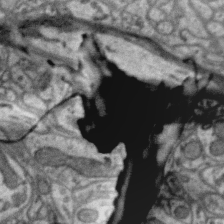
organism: Zebra finch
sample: Brain